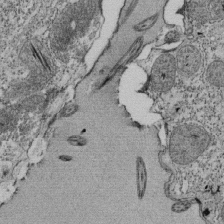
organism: Tetrahymena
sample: Cilia in tetrahymena